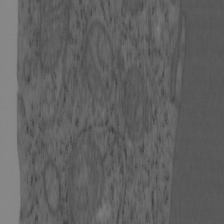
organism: Human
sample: HeLa cells